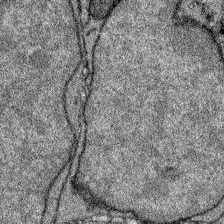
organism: Zebrafish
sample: Larval olfactory bulb